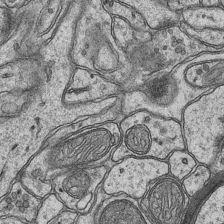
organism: Mouse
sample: CA1 Hippocampus